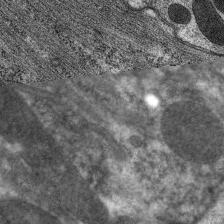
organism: C. elegans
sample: Pharynx